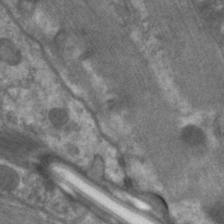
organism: C. elegans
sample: Pharynx